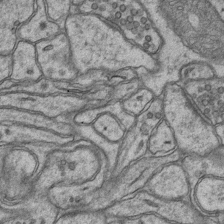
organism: Mouse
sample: CA1 Hippocampus